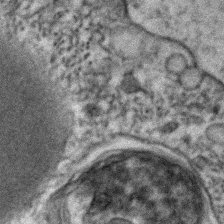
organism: Human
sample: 1205lu cells